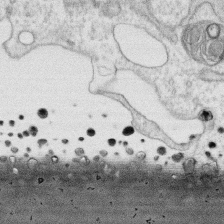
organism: Human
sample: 1205lu cells